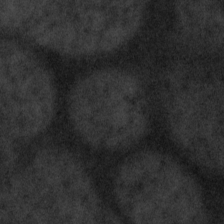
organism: Tuwongella immobilis